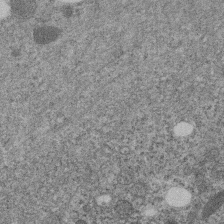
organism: C. elegans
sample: C. elegans embryo early stage